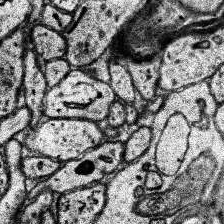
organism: Human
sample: Temporal Lobe